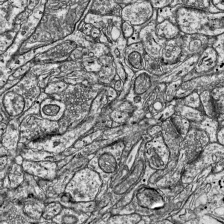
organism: Mouse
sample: Visual Cortex